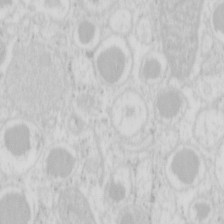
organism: Mouse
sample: Pancreas